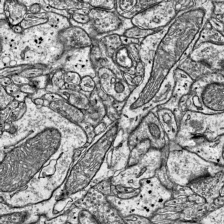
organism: Mouse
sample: Visual Cortex